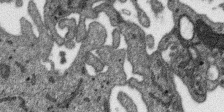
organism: Human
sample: Lung epithelial cells infected with SARS-CoV-2